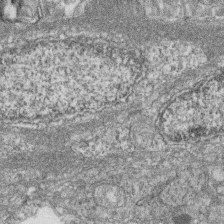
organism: Zebrafish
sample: Cilia; retinal pigment epithelium